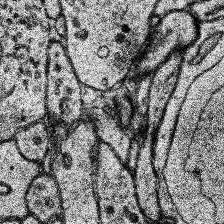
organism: Human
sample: Temporal Lobe